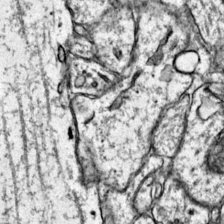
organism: Mouse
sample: Primary visual cortex